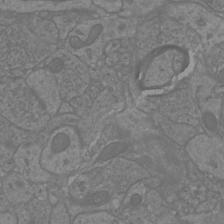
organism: Mouse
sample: Cortical neurons